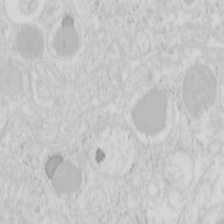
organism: Mouse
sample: Pancreas